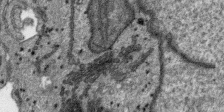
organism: Human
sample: Lung epithelial cells, uninfected (mock) control